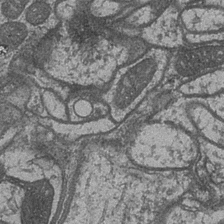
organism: Drosophila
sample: Optic medulla